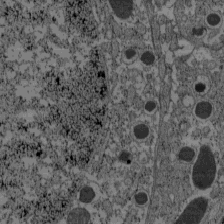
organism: C57BL Mouse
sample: Pancreatic islet